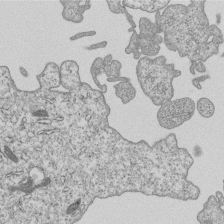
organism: Human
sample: MDA-MB-231 cells